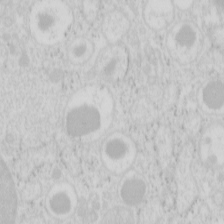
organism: Mouse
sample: Pancreas